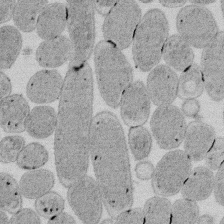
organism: E. coli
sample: Bacterial nucleoid